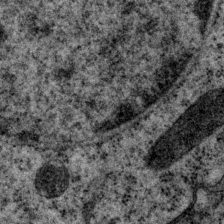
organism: P. pacificus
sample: Pharynx